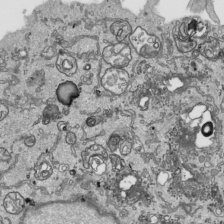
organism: Human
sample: Mitochondria in HCT116 cells